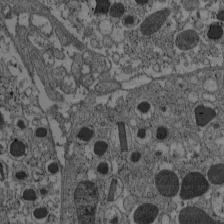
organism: C57BL Mouse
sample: Pancreatic islet